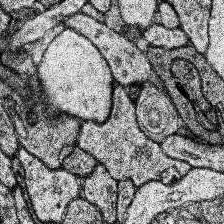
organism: Human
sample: Temporal Lobe